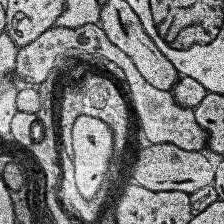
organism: Human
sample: Temporal Lobe